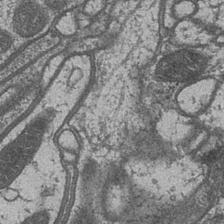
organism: Drosophila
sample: Optic medulla